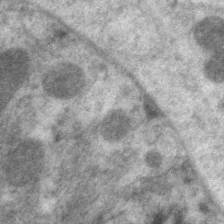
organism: C. elegans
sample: Pharynx